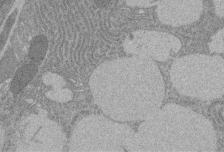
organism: Rat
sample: Salivary granule